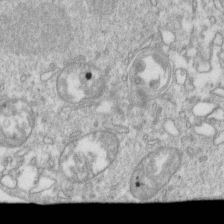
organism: Mouse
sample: Activated OT-1 CD8+ T cells